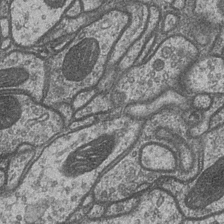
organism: Drosophila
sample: Optic medulla